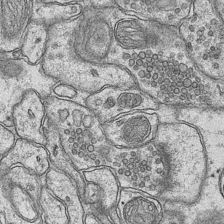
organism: Mouse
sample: CA1 Hippocampus